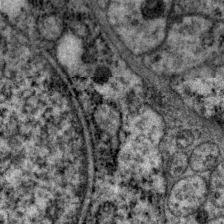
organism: P. pacificus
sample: Pharynx